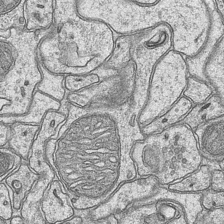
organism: Mouse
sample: CA1 Hippocampus